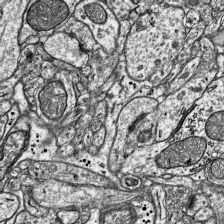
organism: Mouse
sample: Visual Cortex